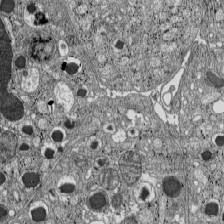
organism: C57BL Mouse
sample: Pancreatic islet